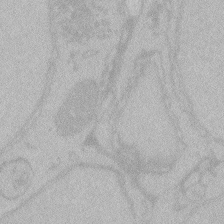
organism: Zebrafish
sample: Macrophage infected with Toxoplasma gondii